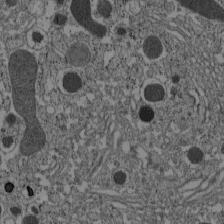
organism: C57BL Mouse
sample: Pancreatic islet